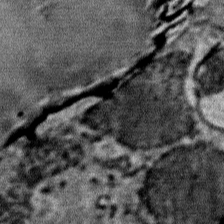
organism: Mouse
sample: Mouse Salivary gland